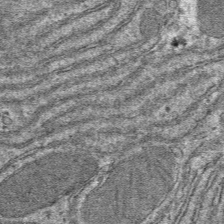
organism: Mouse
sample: Mouse hepatocytes